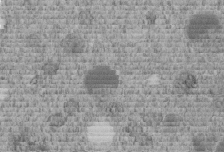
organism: C. elegans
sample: C. elegans embryo early stage